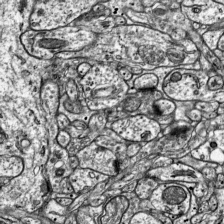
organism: Mouse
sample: Visual Cortex